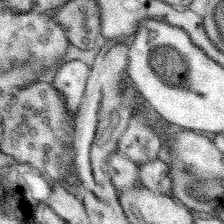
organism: Mouse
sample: Somatosensory cortex neuropil